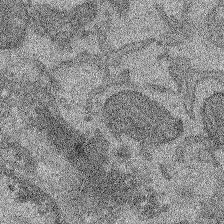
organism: Human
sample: HeLa cells